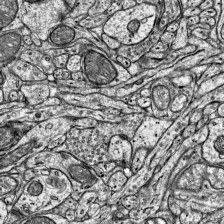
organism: Mouse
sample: Visual Cortex